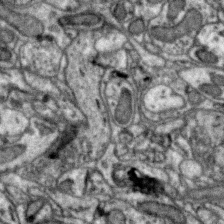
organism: Zebra finch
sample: Brain